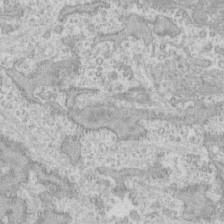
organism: Human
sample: CRL-1474